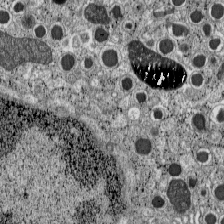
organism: C57BL Mouse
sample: Pancreatic islet